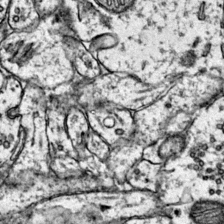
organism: Mouse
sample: Primary visual cortex